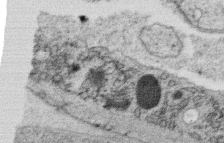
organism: C. elegans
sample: C. elegans oocyte; sperm cells